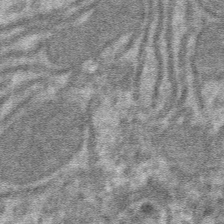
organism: Mouse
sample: Mouse hepatocytes